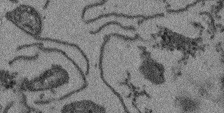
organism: Arabidopsis thaliana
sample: Root tip